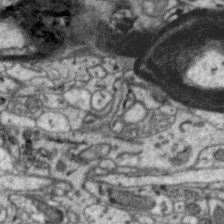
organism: Zebra finch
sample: Brain